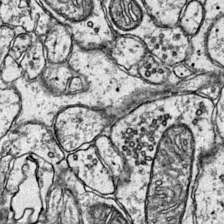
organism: Mouse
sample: Primary visual cortex